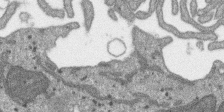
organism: Human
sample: Lung epithelial cells infected with SARS-CoV-2